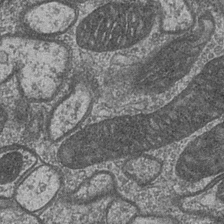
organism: Drosophila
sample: Optic medulla